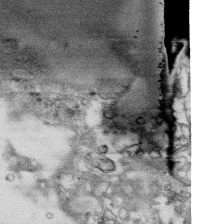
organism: Human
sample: CRL-1474